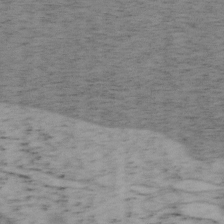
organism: Mouse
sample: OT-I killer T cells with ID8 ovarian cancer cells